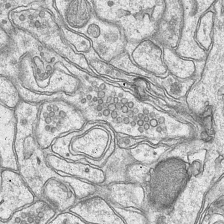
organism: Mouse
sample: CA1 Hippocampus